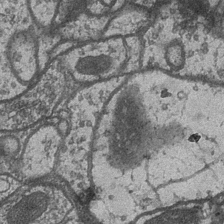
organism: Drosophila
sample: Optic medulla